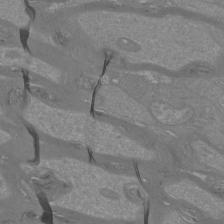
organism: Mouse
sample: Cortical neurons